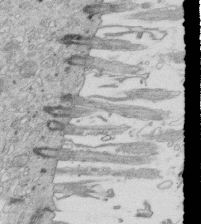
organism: Mouse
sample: Multiciliated cells